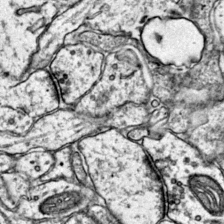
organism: Mouse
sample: Primary visual cortex